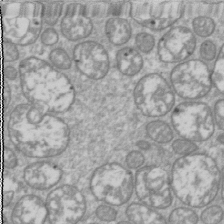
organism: Drosophila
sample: Cell division; meiosis; drosophila spermatocytes